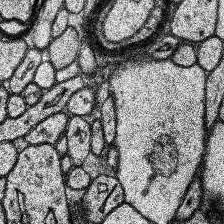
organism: Human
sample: Temporal Lobe